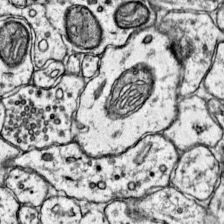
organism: Mouse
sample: Primary visual cortex